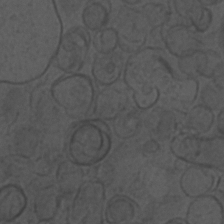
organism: C. elegans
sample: C. elegans embryo